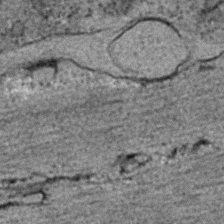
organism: C. elegans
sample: C. elegans embryo